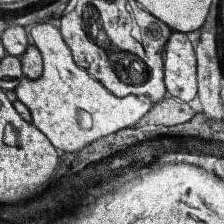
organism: Human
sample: Temporal Lobe